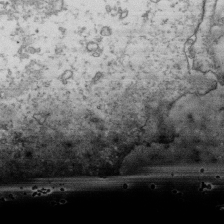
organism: Human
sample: Activated Jurkat CD4+ T cells